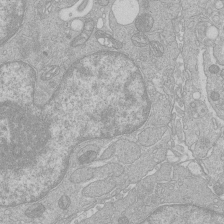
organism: Human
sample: Macrophage cells